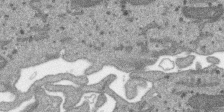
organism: Human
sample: Lung epithelial cells infected with SARS-CoV-2